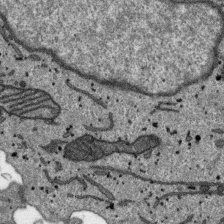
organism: Human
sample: Lung epithelial cells, uninfected (mock) control